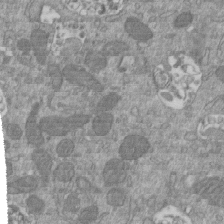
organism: Mouse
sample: ED-1 cell nuclei; centrioles